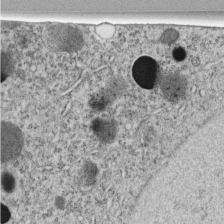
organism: C. elegans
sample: C. elegans embryo early stage